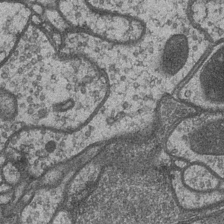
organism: Drosophila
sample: Optic medulla